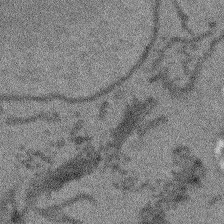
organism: Arabidopsis thaliana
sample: Root tip